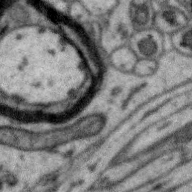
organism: Zebra finch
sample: Brain